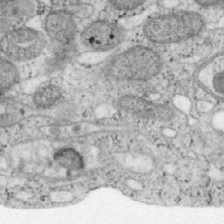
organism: Mouse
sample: OT-I killer T cells with ID8 ovarian cancer cells